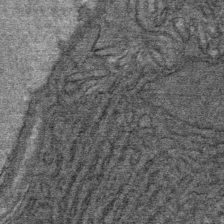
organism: Mouse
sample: Mouse Salivary gland